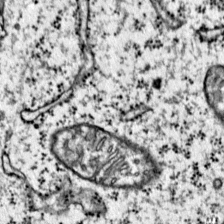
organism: Mouse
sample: Primary visual cortex